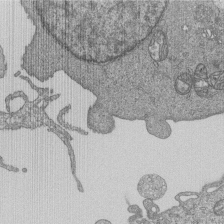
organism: Human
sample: MDA-MB-231 cells